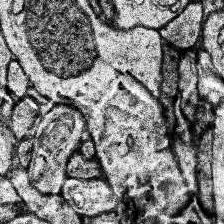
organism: Human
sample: Temporal Lobe